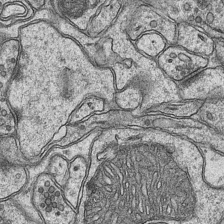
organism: Mouse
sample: CA1 Hippocampus